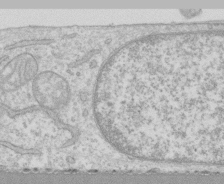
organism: Human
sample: CRL-1474